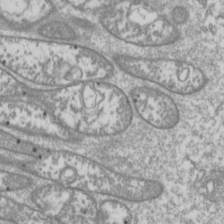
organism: Drosophila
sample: Cell division; meiosis; drosophila spermatocytes